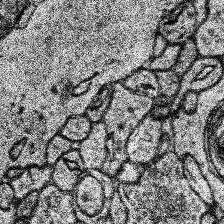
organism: Human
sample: Temporal Lobe